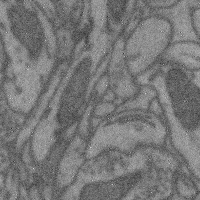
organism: Mouse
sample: Cerebral cortex